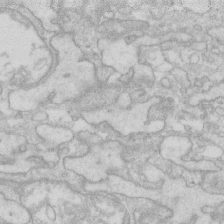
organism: Human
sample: Fibroblast cells